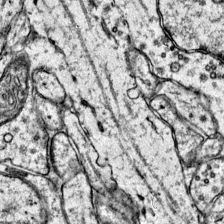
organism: Mouse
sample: Primary visual cortex